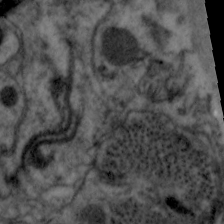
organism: C. elegans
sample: Pharynx